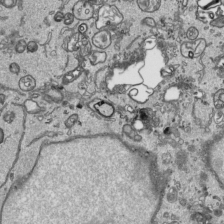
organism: Human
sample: Mitochondria in HCT116 cells